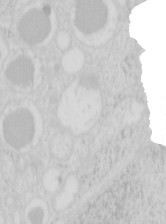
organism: Mouse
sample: Pancreas